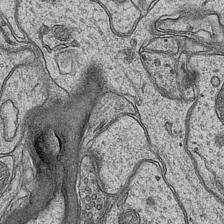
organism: Mouse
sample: CA1 Hippocampus